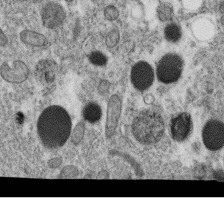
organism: C. elegans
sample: C. elegans oocyte; sperm cells